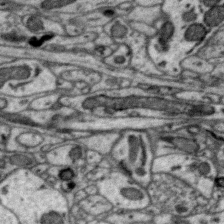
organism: Zebra finch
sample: Brain